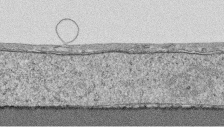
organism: Human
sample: CRL-1474